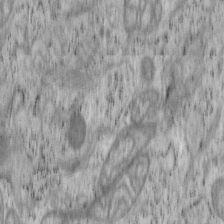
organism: Human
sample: HeLa cells